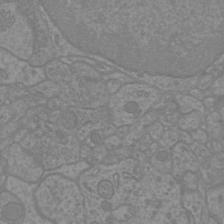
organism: Mouse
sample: Cortical neurons